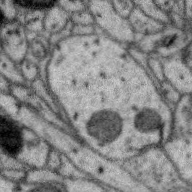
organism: Zebra finch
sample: Brain